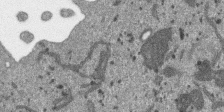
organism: Human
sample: Lung epithelial cells infected with SARS-CoV-2